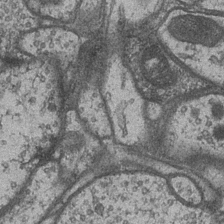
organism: Drosophila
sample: Optic medulla